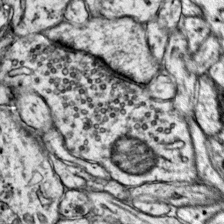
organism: Mouse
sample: Primary visual cortex